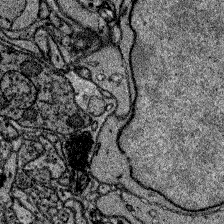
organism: Zebrafish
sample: Larval olfactory bulb